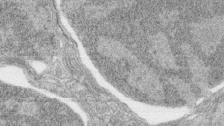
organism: Zebrafish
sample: synaptic ribbons in rod cells and cone cells